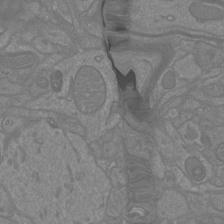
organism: Mouse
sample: Cortical neurons